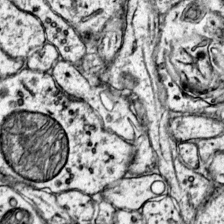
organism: Mouse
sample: Primary visual cortex